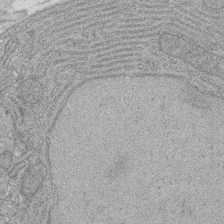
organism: Rat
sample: Salivary granule